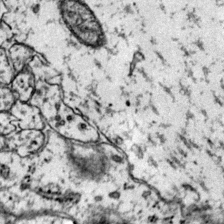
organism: Mouse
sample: Primary visual cortex